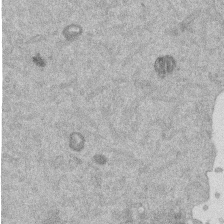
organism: Mouse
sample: Dividing mouse embryo 1 cell stage